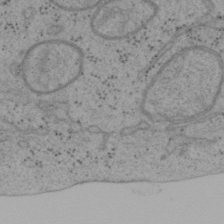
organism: Human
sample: HeLa cells